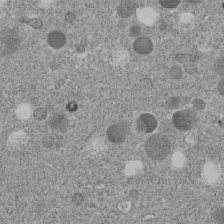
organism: C. elegans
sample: C. elegans embryo early stage